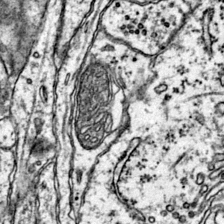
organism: Mouse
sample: Primary visual cortex